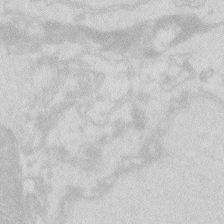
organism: Zebrafish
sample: Macrophage